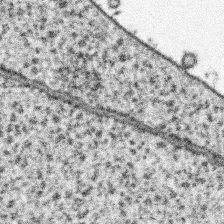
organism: Human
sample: HeLa cells